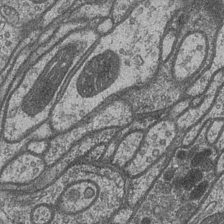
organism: Drosophila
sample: Optic medulla